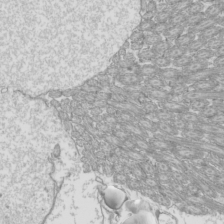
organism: Mouse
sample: Cilia; mouse epididymis